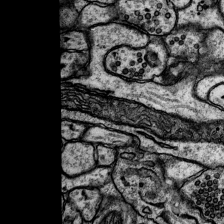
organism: Rat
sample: Hippocampus